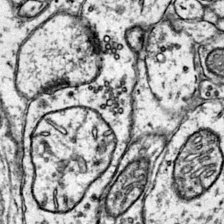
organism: Mouse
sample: Primary visual cortex